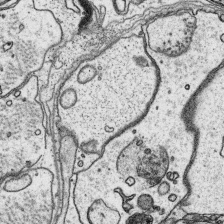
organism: Platynereis dumerilii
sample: Parapodia